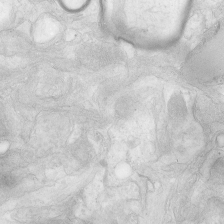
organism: Human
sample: Neocortex